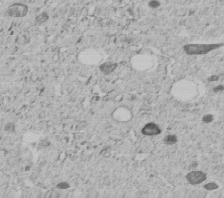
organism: C. elegans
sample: C. elegans embryo early stage